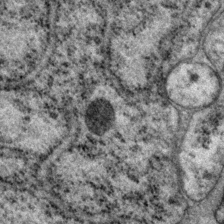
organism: P. pacificus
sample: Pharynx